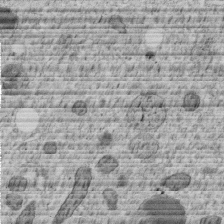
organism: C. elegans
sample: C. elegans embryo early stage